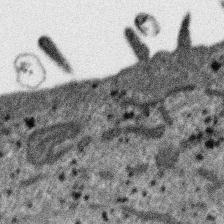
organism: Human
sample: Lung epithelial cells infected with SARS-CoV-2